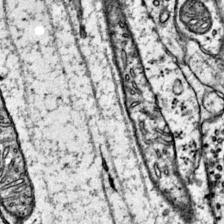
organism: Mouse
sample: Primary visual cortex